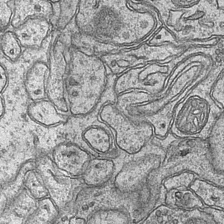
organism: Mouse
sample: CA1 Hippocampus